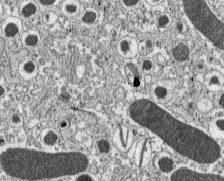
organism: C57BL Mouse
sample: Pancreatic islet